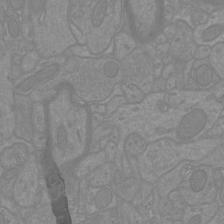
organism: Mouse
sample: Cortical neurons